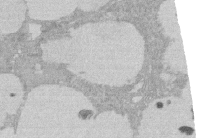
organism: Rat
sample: Salivary granule